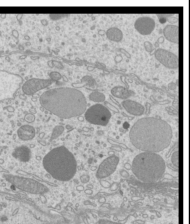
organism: Mouse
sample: Cilia; mouse epididymis